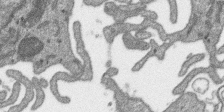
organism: Human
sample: Lung epithelial cells infected with SARS-CoV-2